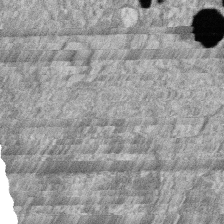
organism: Zebrafish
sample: Cilia; retinal pigment epithelium